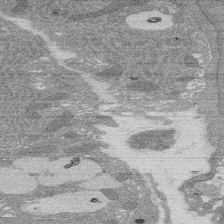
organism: Rat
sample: Salivary granule